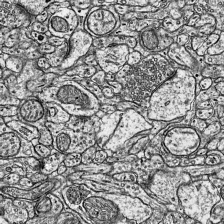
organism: Mouse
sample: Visual Cortex